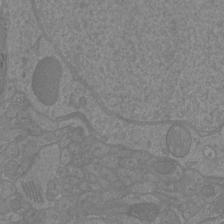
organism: Mouse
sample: Cortical neurons